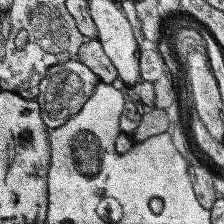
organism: Human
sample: Temporal Lobe